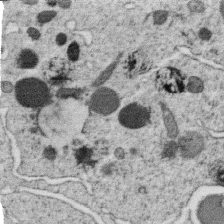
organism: C. elegans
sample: C. elegans oocyte; sperm cells